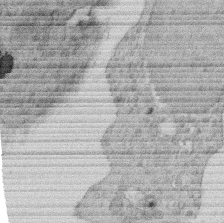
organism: Rat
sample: Salivary granule